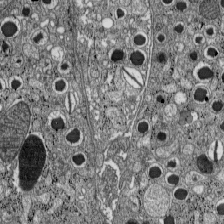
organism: C57BL Mouse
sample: Pancreatic islet